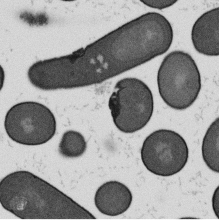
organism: B. subtilis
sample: Bacterial spore